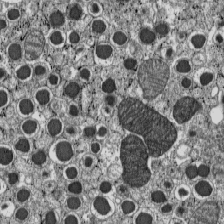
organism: C57BL Mouse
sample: Pancreatic islet